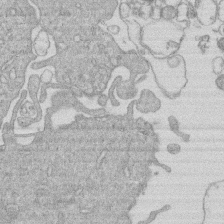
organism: Human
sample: Macrophage cells